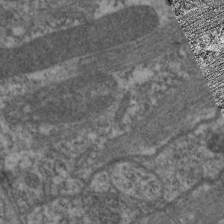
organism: C. elegans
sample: Pharynx